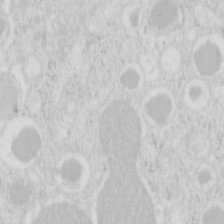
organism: Mouse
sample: Pancreas